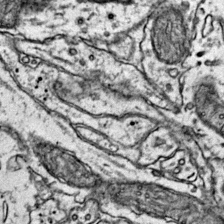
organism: Mouse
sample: Primary visual cortex